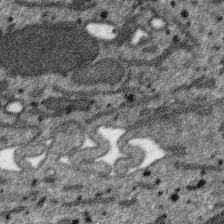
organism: Human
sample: Lung epithelial cells infected with SARS-CoV-2